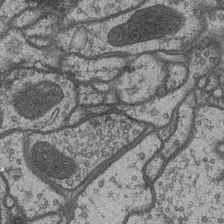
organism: Drosophila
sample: Optic medulla